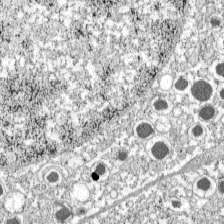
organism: C57BL Mouse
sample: Pancreatic islet